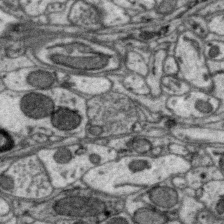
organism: Zebra finch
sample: Brain